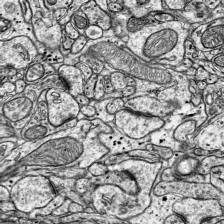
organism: Mouse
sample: Visual Cortex